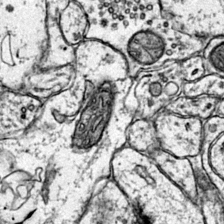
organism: Mouse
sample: Primary visual cortex